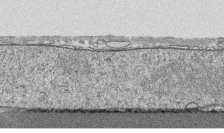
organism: Human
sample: CRL-1474